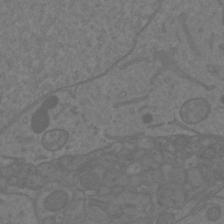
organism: Mouse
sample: Cortical neurons